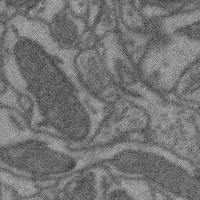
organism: Mouse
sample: Cerebral cortex